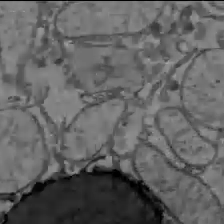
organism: C57BL Mouse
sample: Liver